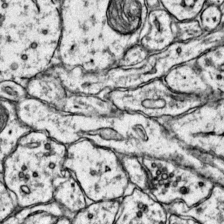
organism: Mouse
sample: Primary visual cortex